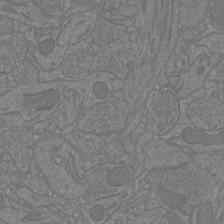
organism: Mouse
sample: Cortical neurons